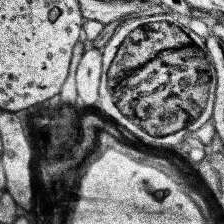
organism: Human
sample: Temporal Lobe